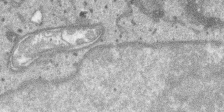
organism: Human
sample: Lung epithelial cells infected with SARS-CoV-2